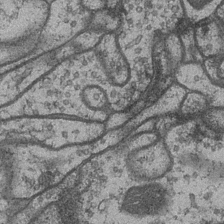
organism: Drosophila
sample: Optic medulla